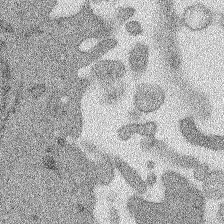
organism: Human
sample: HeLa cells